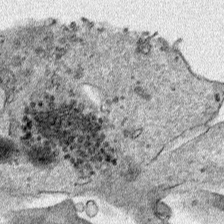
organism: Human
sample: Mitochondria in HCT116 cells